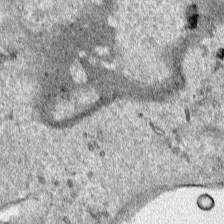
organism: Human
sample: Mitochondria in HCT116 cells